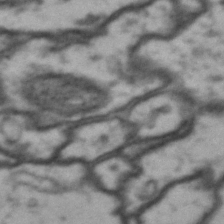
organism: Drosophila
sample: Brain